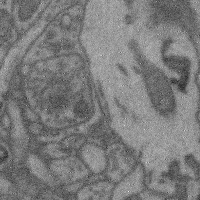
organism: Mouse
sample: Cerebral cortex